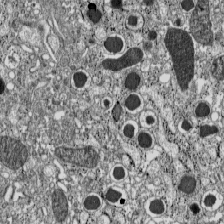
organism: C57BL Mouse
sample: Pancreatic islet